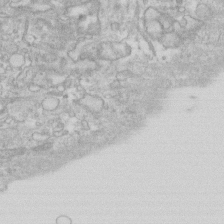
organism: Human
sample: Fibroblast cells